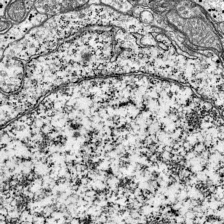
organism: Mouse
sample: Visual Cortex